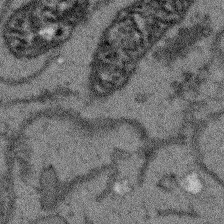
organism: Arabidopsis thaliana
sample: Root tip